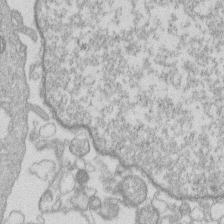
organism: Human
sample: Macrophage cells